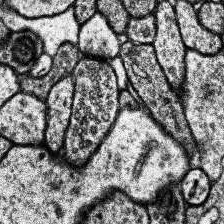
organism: Human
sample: Temporal Lobe